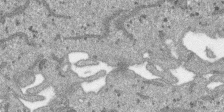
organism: Human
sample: Lung epithelial cells infected with SARS-CoV-2